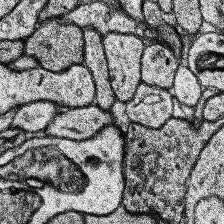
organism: Human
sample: Temporal Lobe